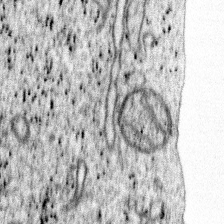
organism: Human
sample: HeLa cells